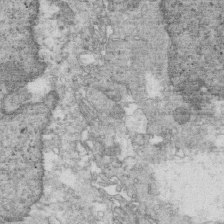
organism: Mouse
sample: Multiciliated cells